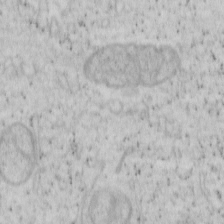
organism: Human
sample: HeLa cells